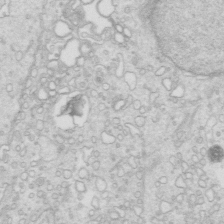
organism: Mouse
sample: Multiciliated cells